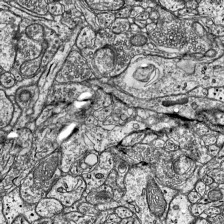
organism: Mouse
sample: Visual Cortex